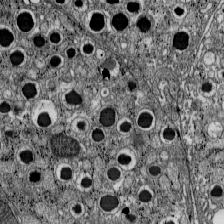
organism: C57BL Mouse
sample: Pancreatic islet